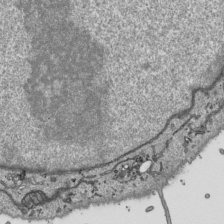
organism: Human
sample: Mitochondria in HCT116 cells